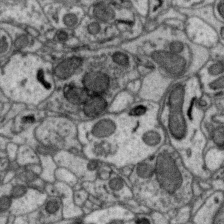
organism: Zebra finch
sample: Brain